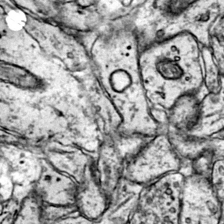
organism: Mouse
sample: Primary visual cortex